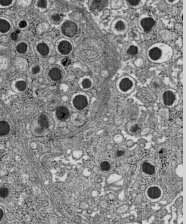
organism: C57BL Mouse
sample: Pancreatic islet